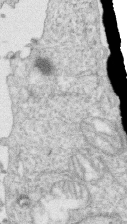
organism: Human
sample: HeLa cell HIV synapse